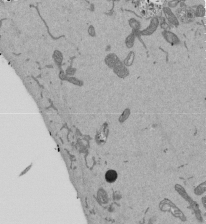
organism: Mouse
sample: ED-1 cell nuclei; centrioles